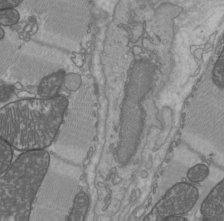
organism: C57BL Mouse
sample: Heart